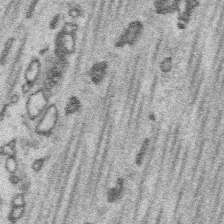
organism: Platynereis dumerilii